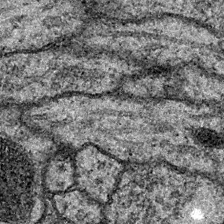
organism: Drosophila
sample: Ventral Nerve Cord